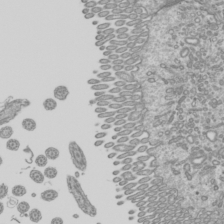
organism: Mouse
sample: Cilia; mouse epididymis